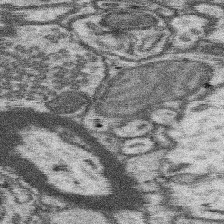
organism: Mouse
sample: Somatosensory cortex neuropil